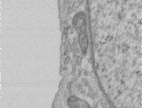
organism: Human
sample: Centriole in RPE cells